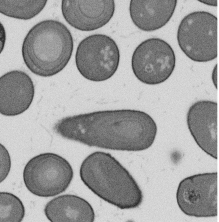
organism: B. subtilis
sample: Bacterial spore